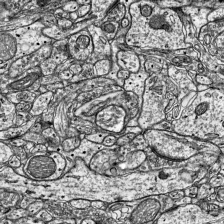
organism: Mouse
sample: Visual Cortex